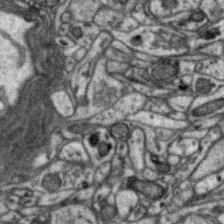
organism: Zebra finch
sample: Brain